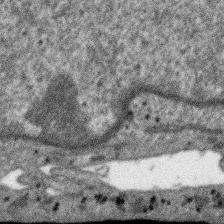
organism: Human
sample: Lung epithelial cells infected with SARS-CoV-2